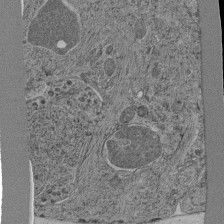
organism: C. elegans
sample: C. elegans pharynx